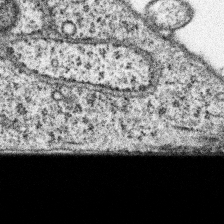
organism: Human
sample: HeLa cells